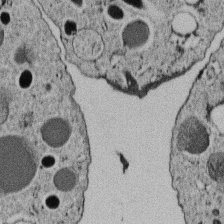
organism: C. elegans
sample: C. elegans embryo early stage